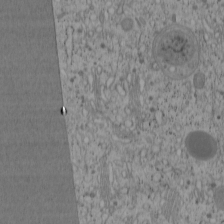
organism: African green monkey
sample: COS-7 cells